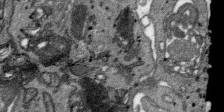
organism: Human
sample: Lung epithelial cells, uninfected (mock) control